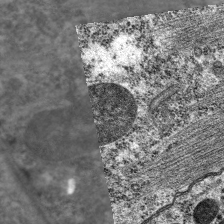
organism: C. elegans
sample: Pharynx